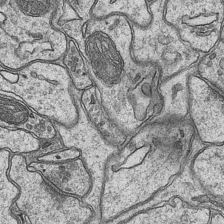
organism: Mouse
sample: CA1 Hippocampus